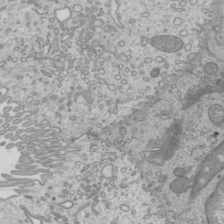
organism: Mouse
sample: Cilia; mouse epididymis